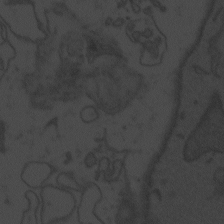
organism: Zebrafish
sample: Macrophage infected with Toxoplasma gondii